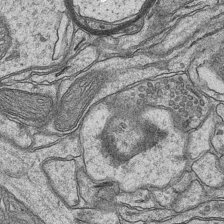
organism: Mouse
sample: CA1 Hippocampus